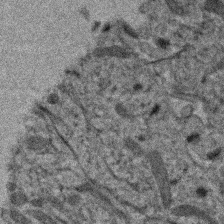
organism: Human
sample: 1205lu cells